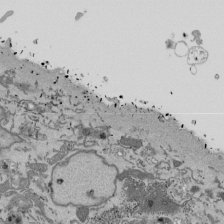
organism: Mouse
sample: ED-1 cell nuclei; centrioles